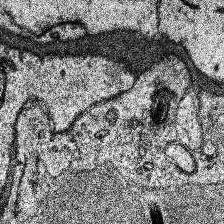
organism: Human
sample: Temporal Lobe